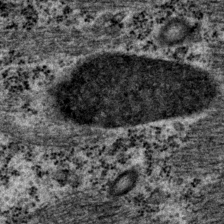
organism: P. pacificus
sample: Pharynx